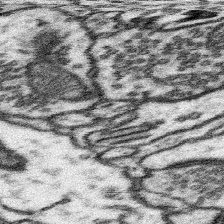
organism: Mouse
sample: Somatosensory cortex neuropil